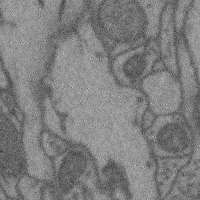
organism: Mouse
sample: Cerebral cortex